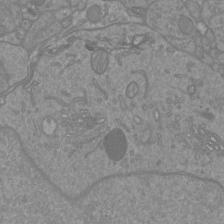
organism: Mouse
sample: Cortical neurons